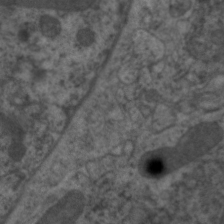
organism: C. elegans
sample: Pharynx